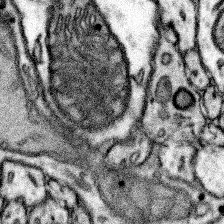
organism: Mouse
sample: Somatosensory cortex neuropil